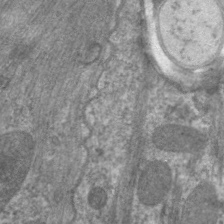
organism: C. elegans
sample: Pharynx